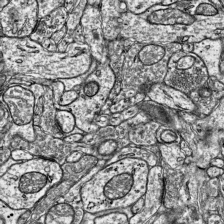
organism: Mouse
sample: Visual Cortex